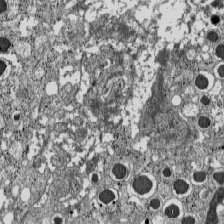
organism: C57BL Mouse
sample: Pancreatic islet